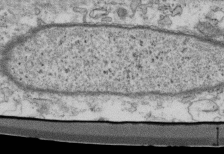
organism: Mouse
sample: Cilia; retinal pigment epithelium